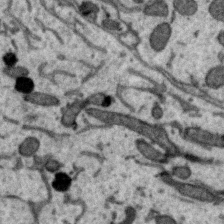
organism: Zebra finch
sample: Brain